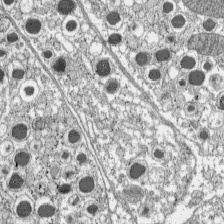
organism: C57BL Mouse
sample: Pancreatic islet